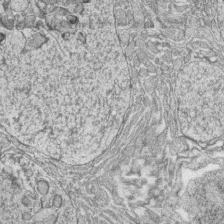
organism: Zebrafish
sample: synaptic ribbons in rod cells and cone cells